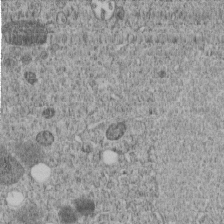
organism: C. elegans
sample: C. elegans embryo early stage